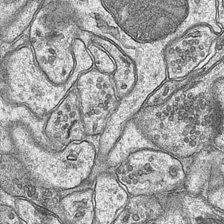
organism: Mouse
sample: CA1 Hippocampus